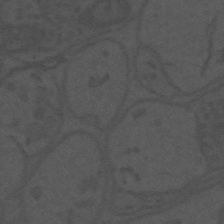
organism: Mouse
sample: Suprachiasmatic nucleus